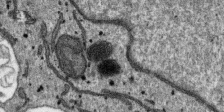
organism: Human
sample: Lung epithelial cells, uninfected (mock) control